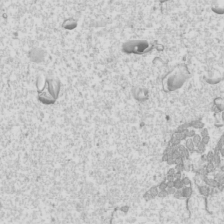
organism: Mouse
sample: Cilia; mouse epididymis